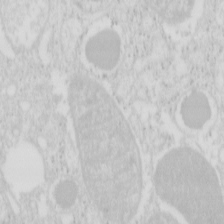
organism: Mouse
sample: Pancreas